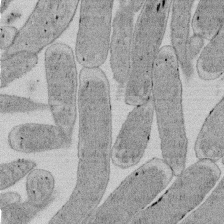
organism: E. coli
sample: Bacterial nucleoid